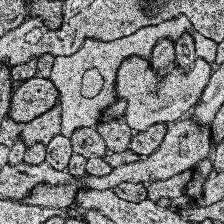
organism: Human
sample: Temporal Lobe